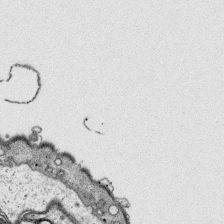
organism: Platynereis dumerilii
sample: Parapodia